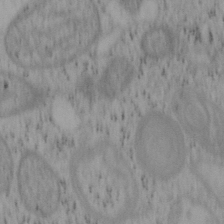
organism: Mouse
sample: OT-I killer T cells with ID8 ovarian cancer cells